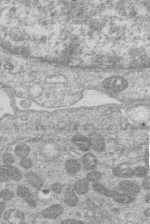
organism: Human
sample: Macrophage cells